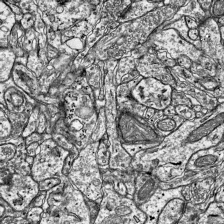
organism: Mouse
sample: Visual Cortex